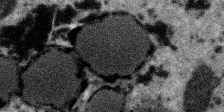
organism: Human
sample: Lung epithelial cells infected with SARS-CoV-2